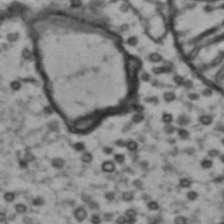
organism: Drosophila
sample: Brain